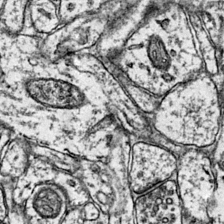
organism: Mouse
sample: Primary visual cortex